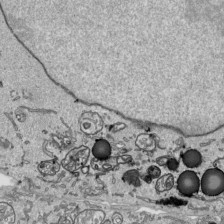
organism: Human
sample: Mitochondria in HCT116 cells